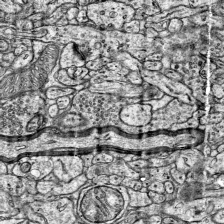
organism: Mouse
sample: Visual Cortex